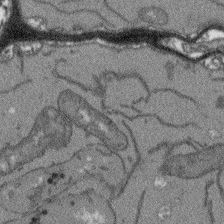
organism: Arabidopsis thaliana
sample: Root tip